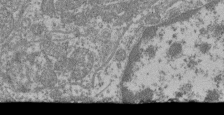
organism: Mouse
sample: Glomerulus